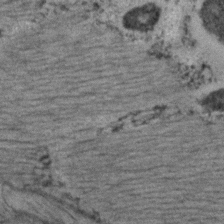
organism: C. elegans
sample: C. elegans embryo